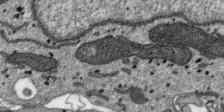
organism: Human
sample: Lung epithelial cells, uninfected (mock) control